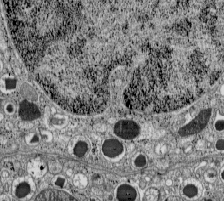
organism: C57BL Mouse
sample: Pancreatic islet